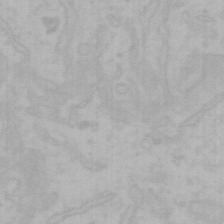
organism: Mouse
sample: Choroid plexus